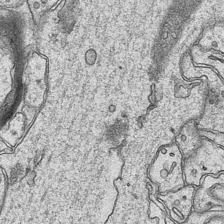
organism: Mouse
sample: CA1 Hippocampus